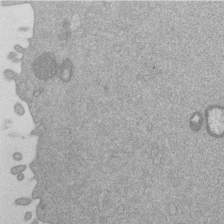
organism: Mouse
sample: Dividing mouse embryo 1 cell stage